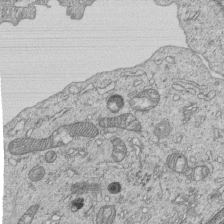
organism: Human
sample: MDA-MB-231 cells